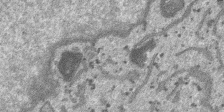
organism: Human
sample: Lung epithelial cells infected with SARS-CoV-2